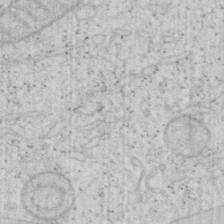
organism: Human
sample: HeLa cells